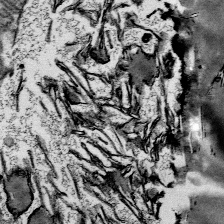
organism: Mouse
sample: Mouse Salivary gland